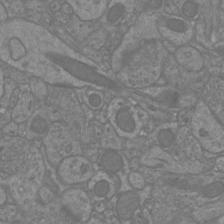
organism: Mouse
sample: Cortical neurons